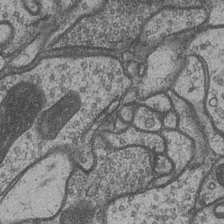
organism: Drosophila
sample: Optic medulla